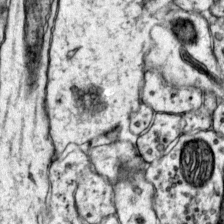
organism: Mouse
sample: Primary visual cortex